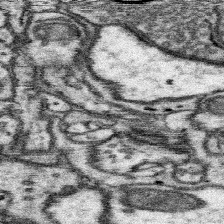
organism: Mouse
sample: Somatosensory cortex neuropil